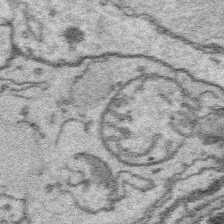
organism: Platynereis dumerilii